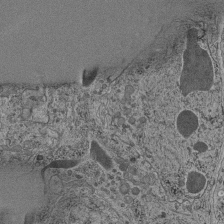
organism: C. elegans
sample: C. elegans pharynx